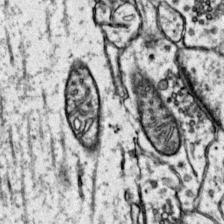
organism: Mouse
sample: Primary visual cortex